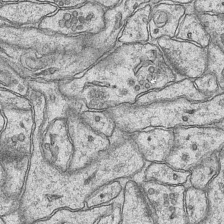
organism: Mouse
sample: CA1 Hippocampus